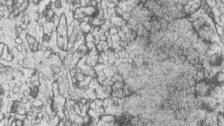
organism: Zebrafish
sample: synaptic ribbons in rod cells and cone cells